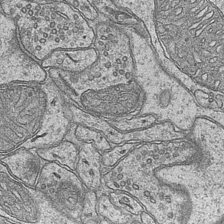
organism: Mouse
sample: CA1 Hippocampus